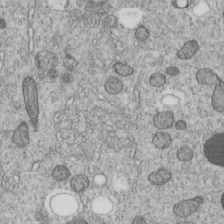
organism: C. elegans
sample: C. elegans embryo early stage